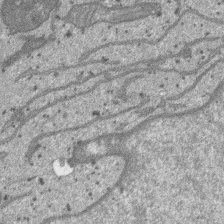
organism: Human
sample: Lung epithelial cells infected with SARS-CoV-2